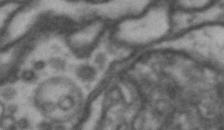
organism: Drosophila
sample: Brain